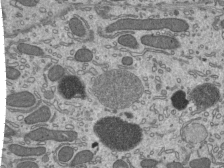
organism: Mouse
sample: Mouse epididymis efferent ductule cilia